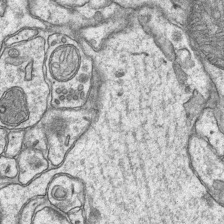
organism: Mouse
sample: CA1 Hippocampus